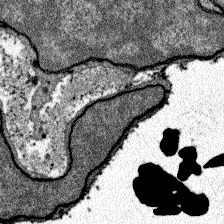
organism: Zebrafish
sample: Larval olfactory bulb